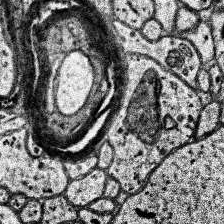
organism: Human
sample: Temporal Lobe